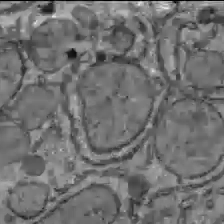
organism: C57BL Mouse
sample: Liver